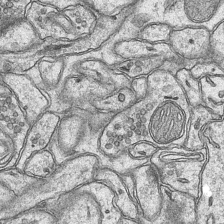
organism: Mouse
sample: CA1 Hippocampus